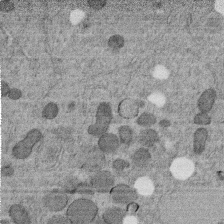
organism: C. elegans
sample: C. elegans embryo early stage